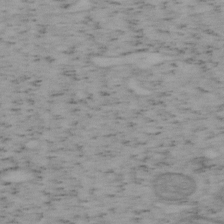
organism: Mouse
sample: OT-I killer T cells with ID8 ovarian cancer cells